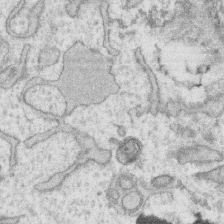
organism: Human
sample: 1205lu cells